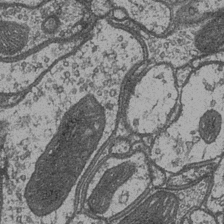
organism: Drosophila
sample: Optic medulla